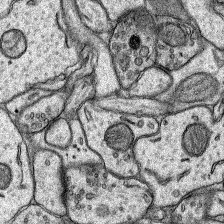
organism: Rat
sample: Hippocampus